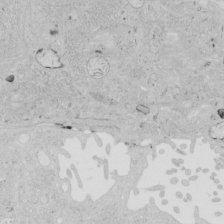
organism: Human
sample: Mitochondria in HCT116 cells